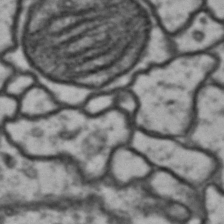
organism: Drosophila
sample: Brain